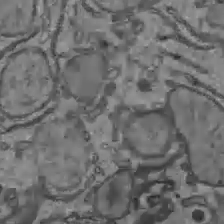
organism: C57BL Mouse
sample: Liver